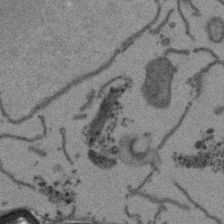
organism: Arabidopsis thaliana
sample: Root tip